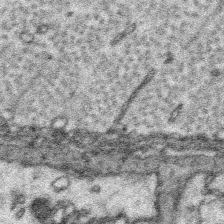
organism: Platynereis dumerilii